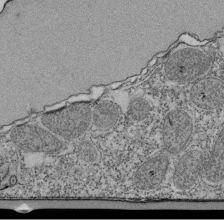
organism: Tetrahymena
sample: Cilia in tetrahymena